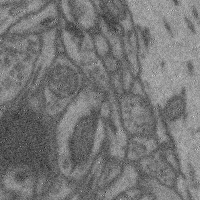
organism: Mouse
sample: Cerebral cortex